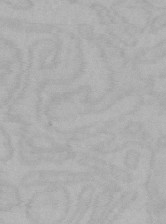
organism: Mouse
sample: Choroid plexus